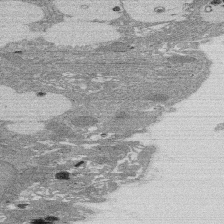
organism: Rat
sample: Salivary granule